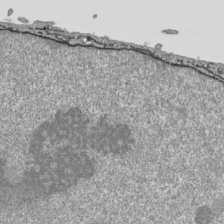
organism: Human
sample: Mitochondria in HCT116 cells